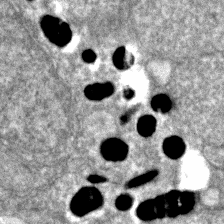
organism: Zebrafish